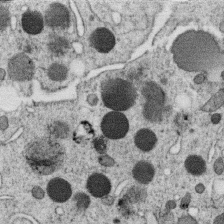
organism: C. elegans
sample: C. elegans oocyte; sperm cells